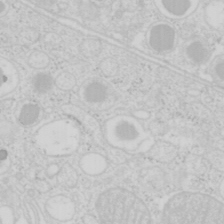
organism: Mouse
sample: Pancreas